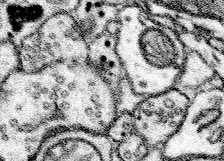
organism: Mouse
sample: Somatosensory cortex neuropil